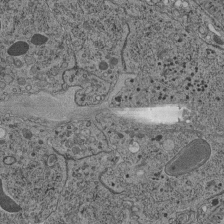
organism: C. elegans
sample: C. elegans pharynx